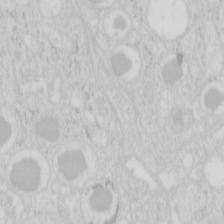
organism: Mouse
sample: Pancreas